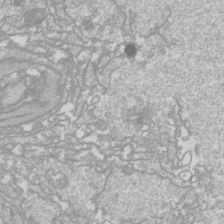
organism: Drosophila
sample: Cell division; meiosis; drosophila spermatocytes